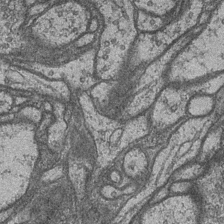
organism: Drosophila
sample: Optic medulla